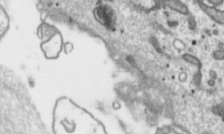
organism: Toxoplasma gondii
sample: Parasites in a vacuole inside a host cell